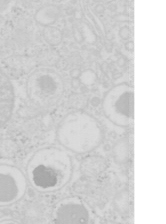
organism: Mouse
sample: Pancreas